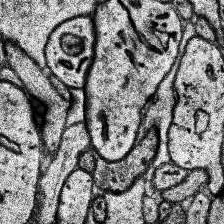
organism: Human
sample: Temporal Lobe